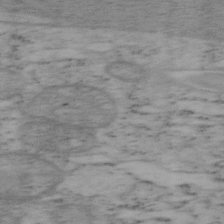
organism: Mouse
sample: OT-I killer T cells with ID8 ovarian cancer cells